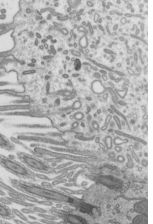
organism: Mouse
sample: Mouse epididymis efferent ductule cilia